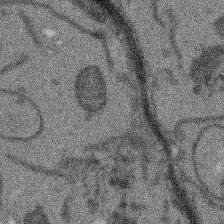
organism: Arabidopsis thaliana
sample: Root tip